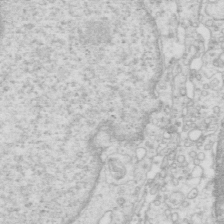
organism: Mouse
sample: Multiciliated cells